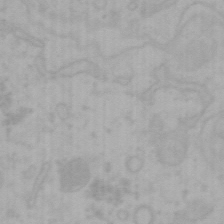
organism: Mouse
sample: Choroid plexus